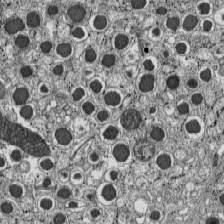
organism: C57BL Mouse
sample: Pancreatic islet